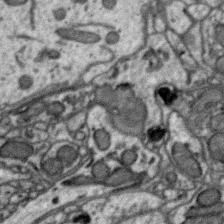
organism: Zebra finch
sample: Brain